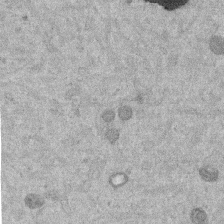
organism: Mouse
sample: Dividing mouse embryo 1 cell stage